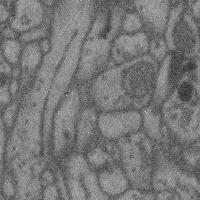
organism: Mouse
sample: Cerebral cortex